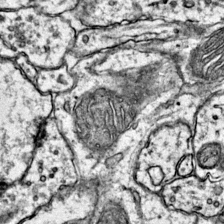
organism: Mouse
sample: Primary visual cortex